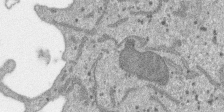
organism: Human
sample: Lung epithelial cells infected with SARS-CoV-2